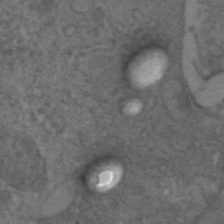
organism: C. elegans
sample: C. elegans embryo